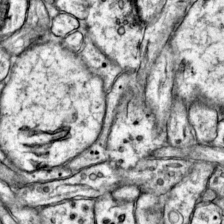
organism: Mouse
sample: Primary visual cortex